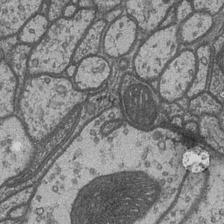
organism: Drosophila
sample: Optic medulla